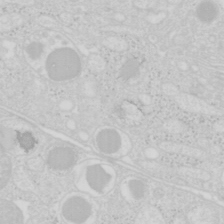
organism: Mouse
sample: Pancreas